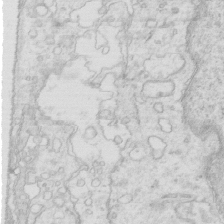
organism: Mouse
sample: Multiciliated cells